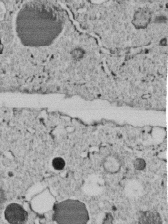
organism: C. elegans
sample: C. elegans embryo early stage